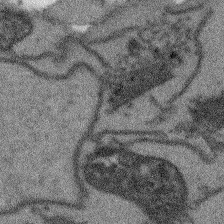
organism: Arabidopsis thaliana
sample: Root tip